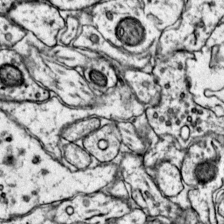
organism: Mouse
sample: Primary visual cortex